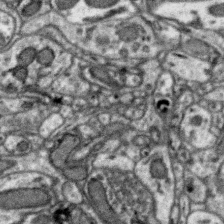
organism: Zebra finch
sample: Brain